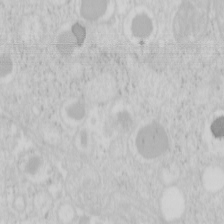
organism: Mouse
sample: Pancreas